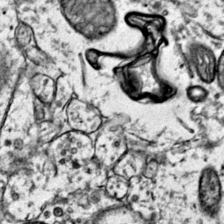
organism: Mouse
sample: Primary visual cortex